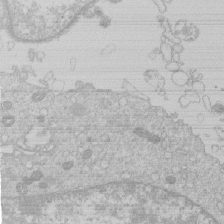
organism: Human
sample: Macrophage cells